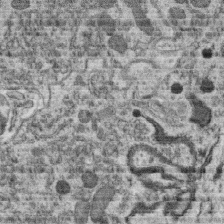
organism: C. elegans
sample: C. elegans oocyte; sperm cells